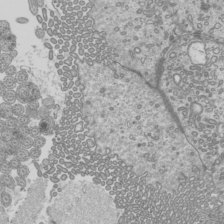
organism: Mouse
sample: Cilia; mouse epididymis